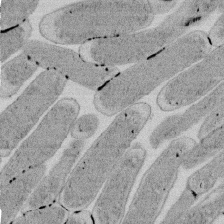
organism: E. coli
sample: Bacterial nucleoid